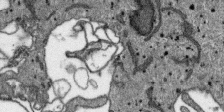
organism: Human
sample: Lung epithelial cells, uninfected (mock) control